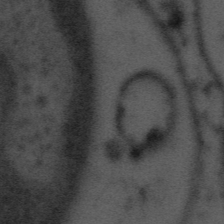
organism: Tuwongella immobilis